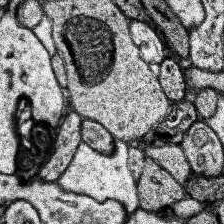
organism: Human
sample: Temporal Lobe